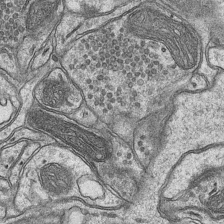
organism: Mouse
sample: CA1 Hippocampus